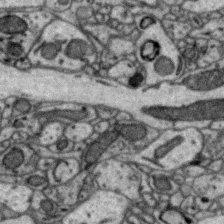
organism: Zebra finch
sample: Brain